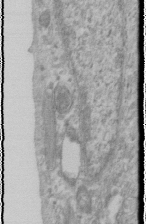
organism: Human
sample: Cilia; basal body in RPE cells